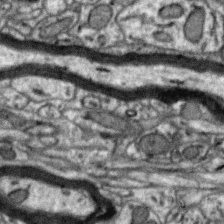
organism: Zebra finch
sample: Brain